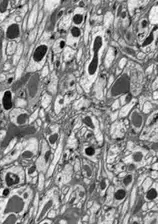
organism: Drosophila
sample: Optic lobe